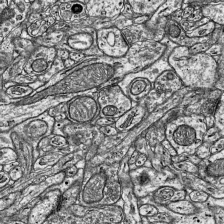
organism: Mouse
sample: Visual Cortex